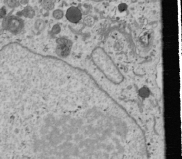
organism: Human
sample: Mitochondria in U2OS cells